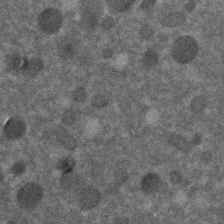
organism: C. elegans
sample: C. elegans embryo